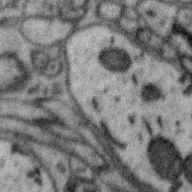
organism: Zebra finch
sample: Brain